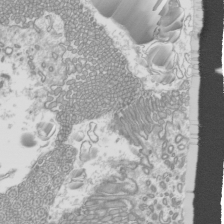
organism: Mouse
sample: Cilia; mouse epididymis